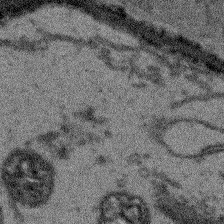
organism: Arabidopsis thaliana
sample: Root tip